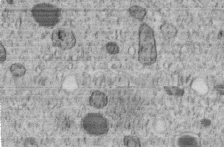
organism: C. elegans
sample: C. elegans embryo early stage